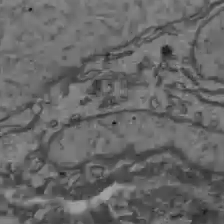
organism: C57BL Mouse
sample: Liver